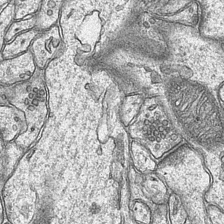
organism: Mouse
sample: CA1 Hippocampus